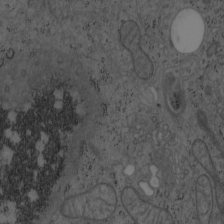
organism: Mouse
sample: OT-I killer T cells with ID8 ovarian cancer cells